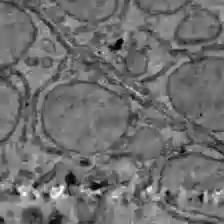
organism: C57BL Mouse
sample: Liver